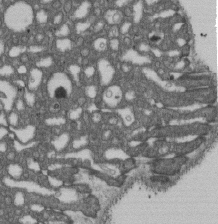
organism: Drosophila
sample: Nephrocyte